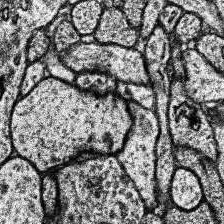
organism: Human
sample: Temporal Lobe